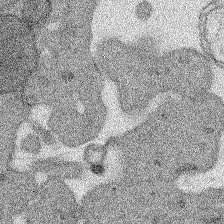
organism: Human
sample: HeLa cells